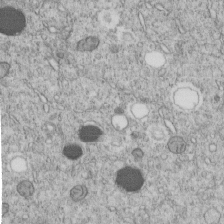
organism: C. elegans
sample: C. elegans embryo early stage